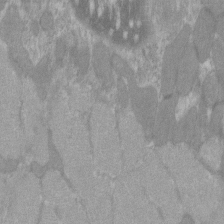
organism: C57BL Mouse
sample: Tibialis anterior muscle cell